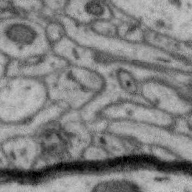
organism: Zebra finch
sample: Brain